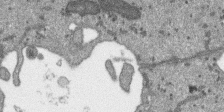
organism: Human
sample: Lung epithelial cells infected with SARS-CoV-2